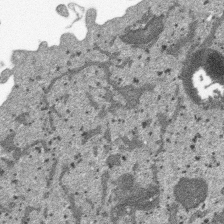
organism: Human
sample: Lung epithelial cells infected with SARS-CoV-2